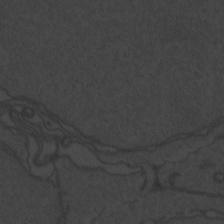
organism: Zebrafish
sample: Macrophage infected with Toxoplasma gondii